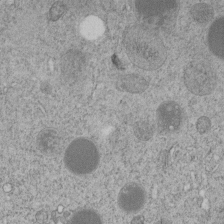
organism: C. elegans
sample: C. elegans embryo early stage